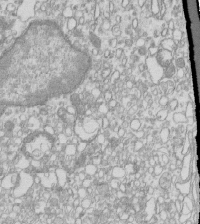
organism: Mouse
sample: Macrophages